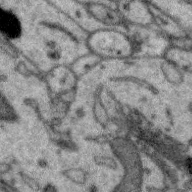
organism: Zebra finch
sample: Brain